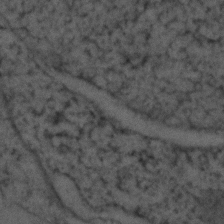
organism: Zebrafish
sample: Zebrafish embryo